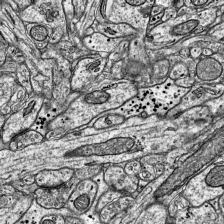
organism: Mouse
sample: Visual Cortex